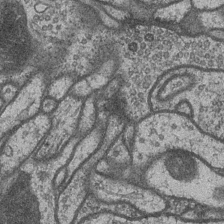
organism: Drosophila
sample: Optic medulla